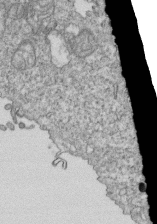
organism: Human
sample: HeLa cell HIV synapse